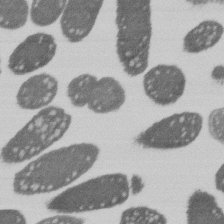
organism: E. coli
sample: Bacterial nucleoid